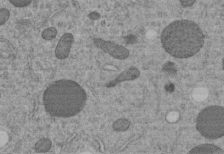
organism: C. elegans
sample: C. elegans embryo early stage